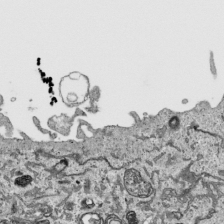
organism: Human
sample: Mitochondria in HCT116 cells